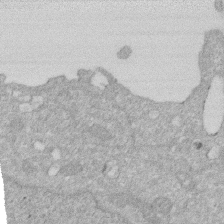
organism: Human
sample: HIV infected U937 cells